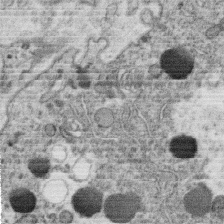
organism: C. elegans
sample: C. elegans oocyte; sperm cells